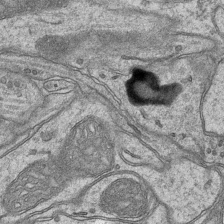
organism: Mouse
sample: CA1 Hippocampus